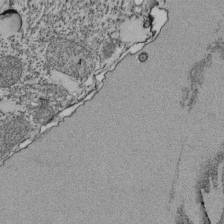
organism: Tetrahymena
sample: Cilia in tetrahymena